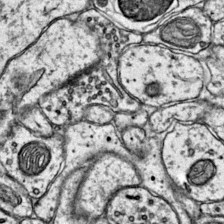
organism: Mouse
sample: Primary visual cortex